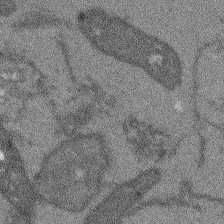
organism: Arabidopsis thaliana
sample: Root tip